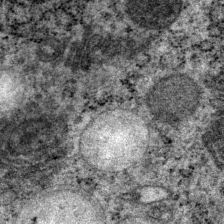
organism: P. pacificus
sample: Pharynx